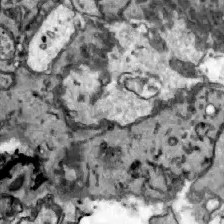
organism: Zebrafish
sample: Actinotrichia fibers